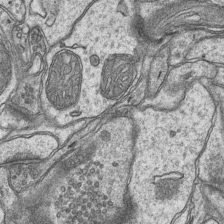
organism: Mouse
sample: CA1 Hippocampus